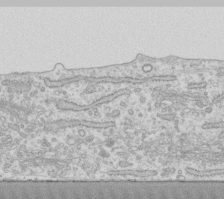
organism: Human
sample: Fibroblast cells